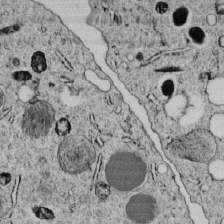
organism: C. elegans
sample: C. elegans embryo early stage